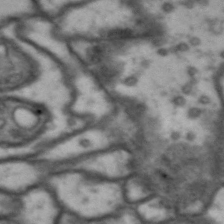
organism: Drosophila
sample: Brain